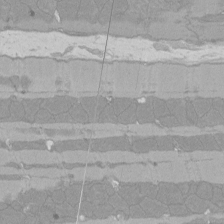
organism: Rat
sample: Left ventricle